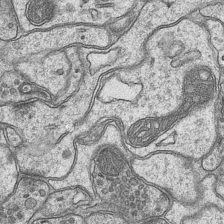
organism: Mouse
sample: CA1 Hippocampus